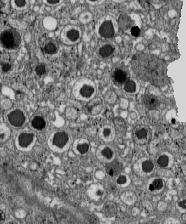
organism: C57BL Mouse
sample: Pancreatic islet